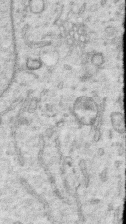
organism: Human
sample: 1205lu cells